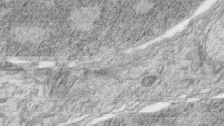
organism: Zebrafish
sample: synaptic ribbons in rod cells and cone cells